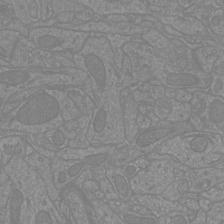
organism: Mouse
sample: Cortical neurons